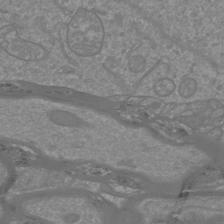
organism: Mouse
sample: Cortical neurons